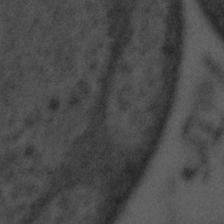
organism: Tuwongella immobilis